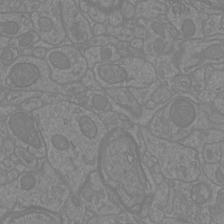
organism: Mouse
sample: Cortical neurons